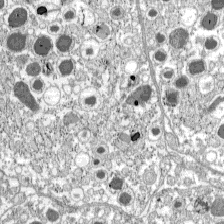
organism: C57BL Mouse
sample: Pancreatic islet